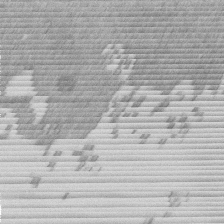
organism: Mouse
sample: Dividing mouse embryo 1 cell stage